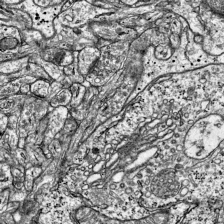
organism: Mouse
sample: Visual Cortex